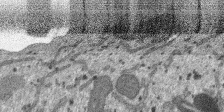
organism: Human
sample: Lung epithelial cells infected with SARS-CoV-2